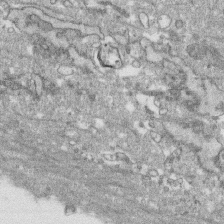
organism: Human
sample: CRL-1474